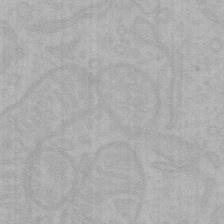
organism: Mouse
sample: Choroid plexus